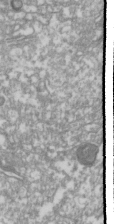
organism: Drosophila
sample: Cell division; meiosis; drosophila spermatocytes